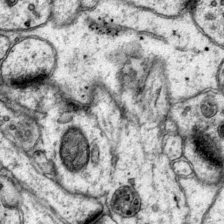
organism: Mouse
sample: Primary visual cortex